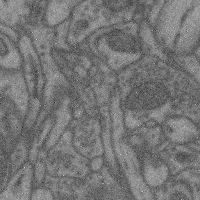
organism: Mouse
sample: Cerebral cortex